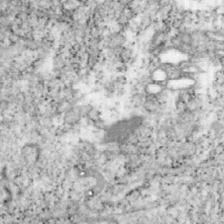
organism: Mouse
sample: OT-I killer T cells with ID8 ovarian cancer cells